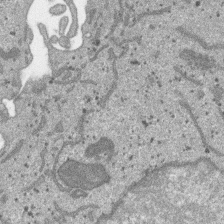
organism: Human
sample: Lung epithelial cells infected with SARS-CoV-2